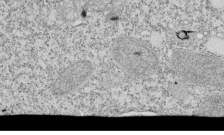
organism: Tetrahymena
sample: Cilia in tetrahymena